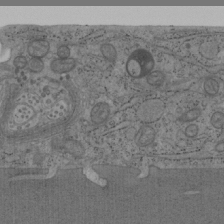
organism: Human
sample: HeLa cells